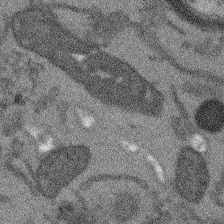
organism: Arabidopsis thaliana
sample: Root tip